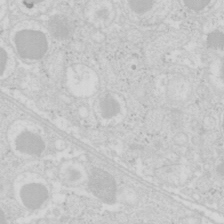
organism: Mouse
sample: Pancreas